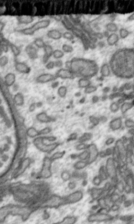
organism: Toxoplasma gondii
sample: Parasites in a vacuole inside a host cell